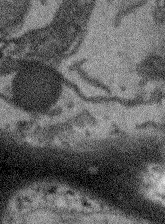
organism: Arabidopsis thaliana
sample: Root tip